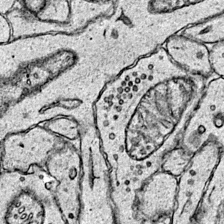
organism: Mouse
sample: Primary visual cortex